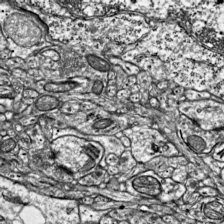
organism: Mouse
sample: Visual Cortex